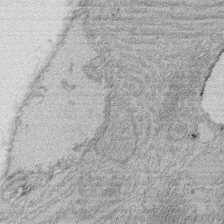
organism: Rat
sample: Salivary granule